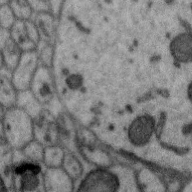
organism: Zebra finch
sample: Brain